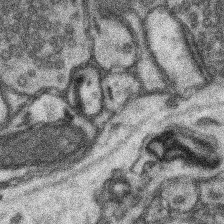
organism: Mouse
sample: Somatosensory cortex neuropil